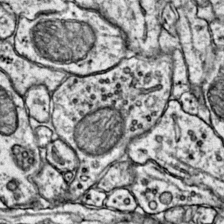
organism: Mouse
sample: Primary visual cortex